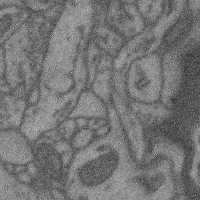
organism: Mouse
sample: Cerebral cortex